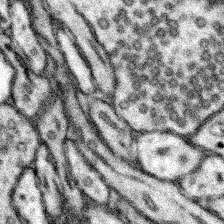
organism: Mouse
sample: Somatosensory cortex neuropil